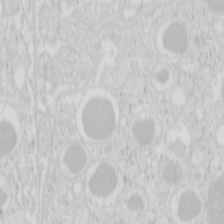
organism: Mouse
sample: Pancreas